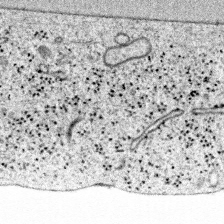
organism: Human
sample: HeLa cells